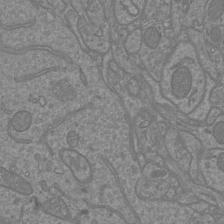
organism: Mouse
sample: Cortical neurons